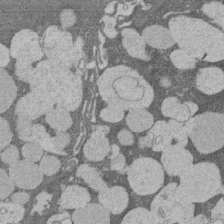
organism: Rat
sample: Salivary granule